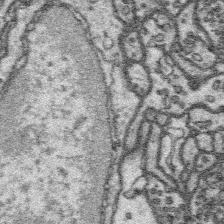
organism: Platynereis dumerilii